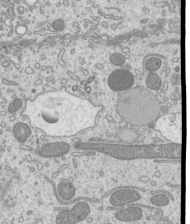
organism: Mouse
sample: Cilia; mouse epididymis